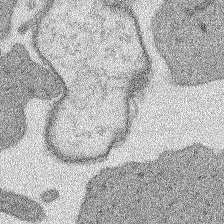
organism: Human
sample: HeLa cells